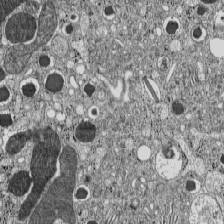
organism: C57BL Mouse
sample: Pancreatic islet